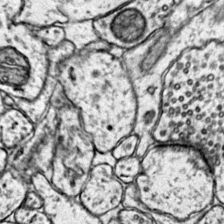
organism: Mouse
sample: Primary visual cortex